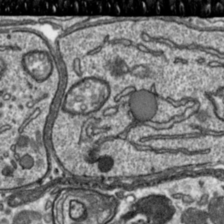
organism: Toxoplasma gondii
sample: Parasites in a vacuole inside a host cell